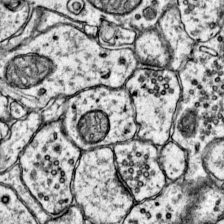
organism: Mouse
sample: Primary visual cortex